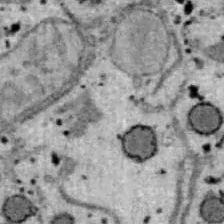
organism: Mouse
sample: Liver from an obese (ob/ob) mouse